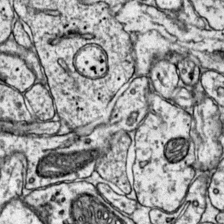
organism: Mouse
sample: Primary visual cortex